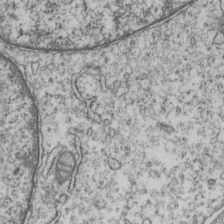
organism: Human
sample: MDA-MB-231 cells